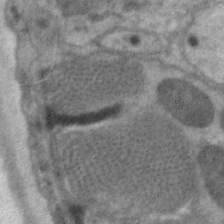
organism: C. elegans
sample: Pharynx